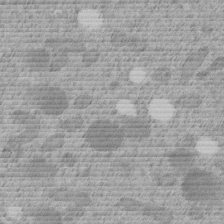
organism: C. elegans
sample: C. elegans embryo early stage